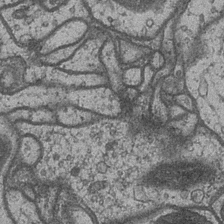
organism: Drosophila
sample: Optic medulla